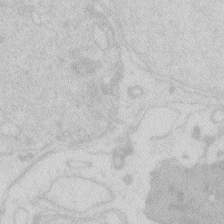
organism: Zebrafish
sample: Macrophage